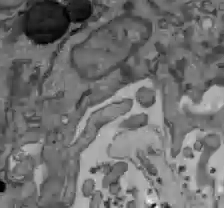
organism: C57BL Mouse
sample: Liver